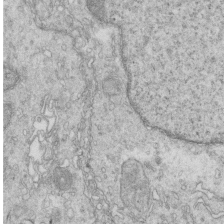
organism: Mouse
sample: Multiciliated cells